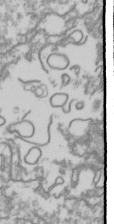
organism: Drosophila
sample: Cell division; meiosis; drosophila spermatocytes